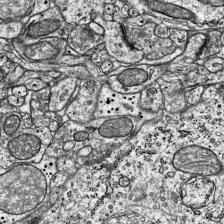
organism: Mouse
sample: Visual Cortex